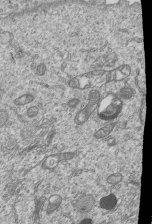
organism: Human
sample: MDA-MB-231 cells